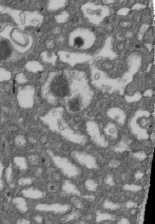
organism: Drosophila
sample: Nephrocyte